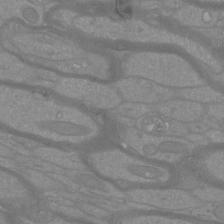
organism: Mouse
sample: Cortical neurons